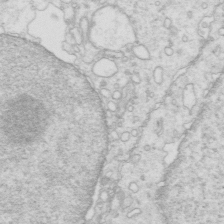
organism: Mouse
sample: Multiciliated cells